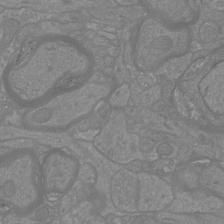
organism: Mouse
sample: Cortical neurons